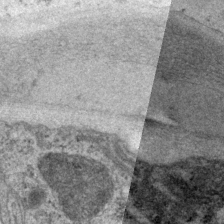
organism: P. pacificus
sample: Pharynx